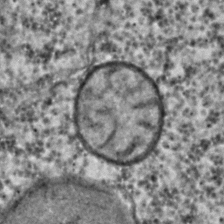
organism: C. elegans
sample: C. elegans embryo